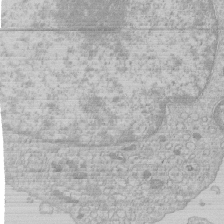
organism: Human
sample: Macrophage cells